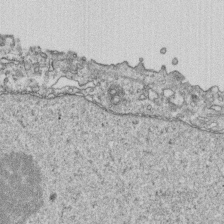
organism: Human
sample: HeLa cell HIV synapse